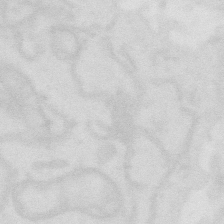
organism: Human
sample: HeLa cells